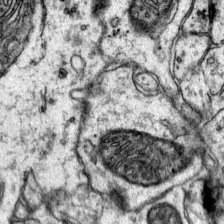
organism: Mouse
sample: Primary visual cortex